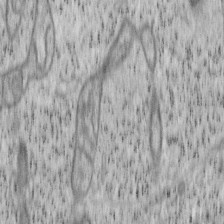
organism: Human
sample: HeLa cells